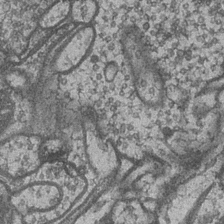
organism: Drosophila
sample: Optic medulla